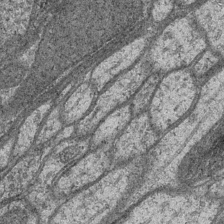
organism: Drosophila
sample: Optic medulla